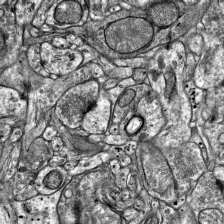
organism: Mouse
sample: Visual Cortex